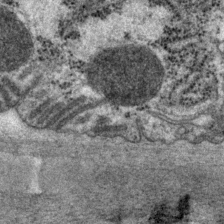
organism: P. pacificus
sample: Pharynx